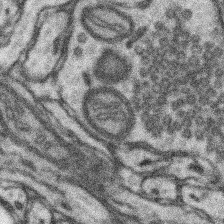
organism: Mouse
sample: Somatosensory cortex neuropil